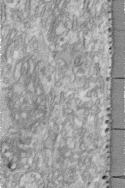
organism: Human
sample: Centriole in fibroblast cells